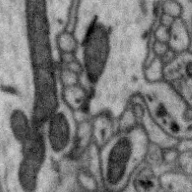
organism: Zebra finch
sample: Brain